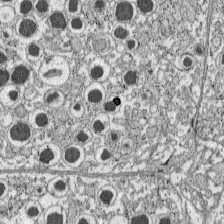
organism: C57BL Mouse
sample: Pancreatic islet